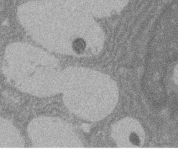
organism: Rat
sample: Salivary granule